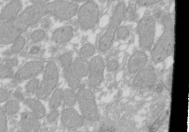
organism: Xenopus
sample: Cilia; centrioles in frog embryo cells